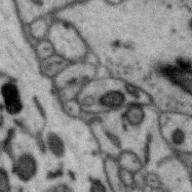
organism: Zebra finch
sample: Brain